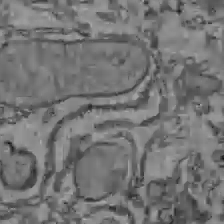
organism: C57BL Mouse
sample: Liver